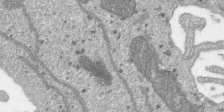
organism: Human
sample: Lung epithelial cells infected with SARS-CoV-2